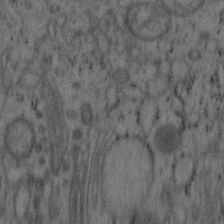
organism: Human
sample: HeLa cells